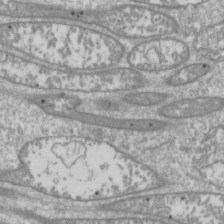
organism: Drosophila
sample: Cell division; meiosis; drosophila spermatocytes